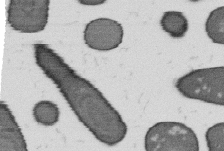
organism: B. subtilis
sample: Bacterial spore